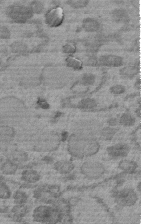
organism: C. elegans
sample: C. elegans embryo early stage